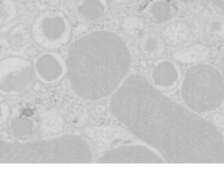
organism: Mouse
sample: Pancreas